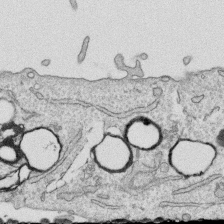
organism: Human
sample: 1205lu cells